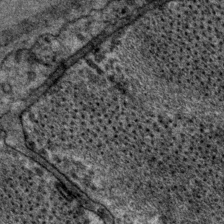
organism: P. pacificus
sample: Pharynx